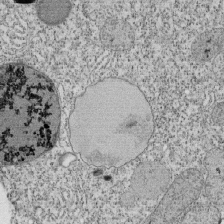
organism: Tetrahymena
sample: Cilia in tetrahymena